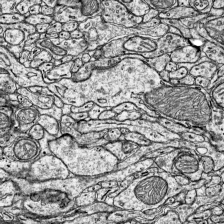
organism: Mouse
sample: Visual Cortex